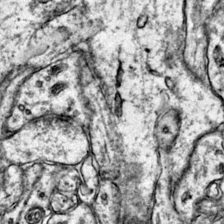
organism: Mouse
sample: Primary visual cortex